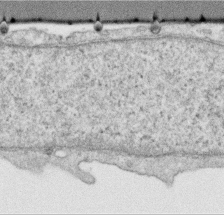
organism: Human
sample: Centriole in RPE cells